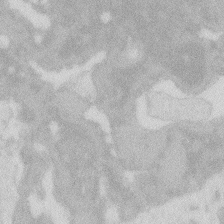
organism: Zebrafish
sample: Macrophage